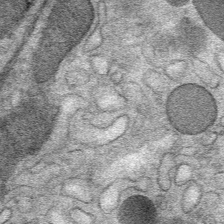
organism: Mouse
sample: Mouse Salivary gland